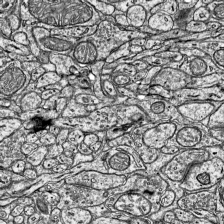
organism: Mouse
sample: Visual Cortex